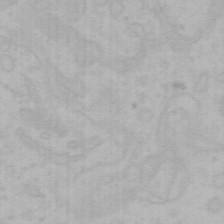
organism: Mouse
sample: Choroid plexus